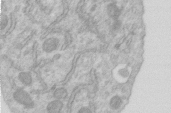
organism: Human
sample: Centriole in RPE cells